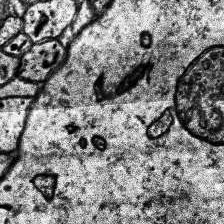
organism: Human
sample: Temporal Lobe